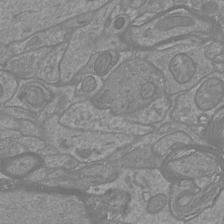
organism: Mouse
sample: Cortical neurons